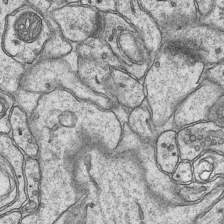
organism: Mouse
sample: CA1 Hippocampus